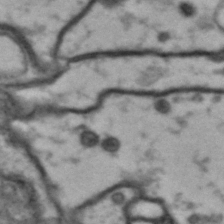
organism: Drosophila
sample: Brain